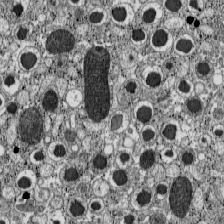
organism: C57BL Mouse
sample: Pancreatic islet